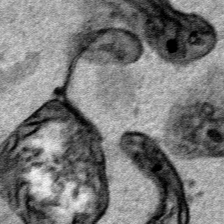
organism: Human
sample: Mitochondria in HCT116 cells